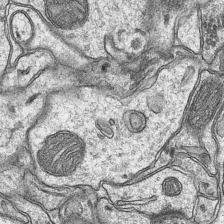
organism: Mouse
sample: CA1 Hippocampus